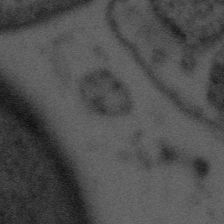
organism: Tuwongella immobilis